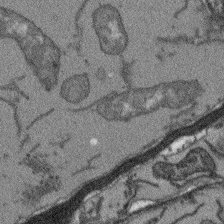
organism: Arabidopsis thaliana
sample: Root tip